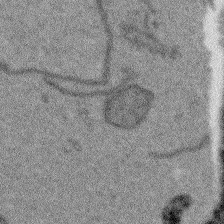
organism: Arabidopsis thaliana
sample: Root tip